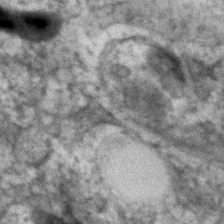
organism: Human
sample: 1205lu cells